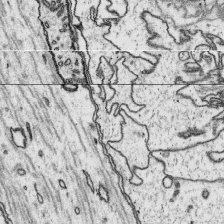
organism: Platynereis dumerilii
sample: Parapodia